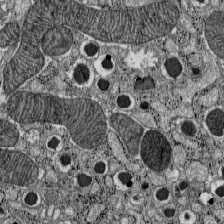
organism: C57BL Mouse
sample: Pancreatic islet